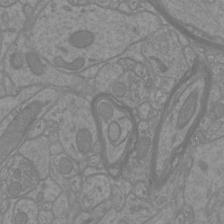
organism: Mouse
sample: Cortical neurons